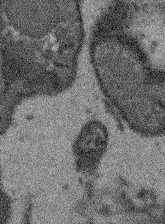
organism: Arabidopsis thaliana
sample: Root tip